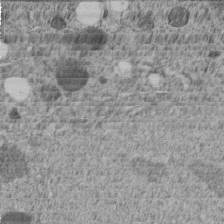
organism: C. elegans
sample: C. elegans embryo early stage